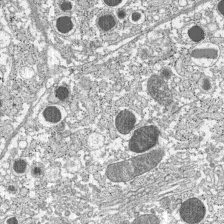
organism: C57BL Mouse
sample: Pancreatic islet